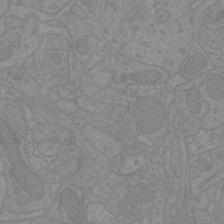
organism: Mouse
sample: Cortical neurons